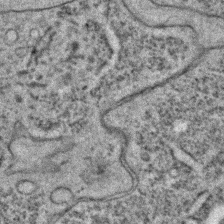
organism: C. elegans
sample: C. elegans embryo